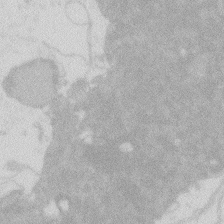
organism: Zebrafish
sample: Macrophage